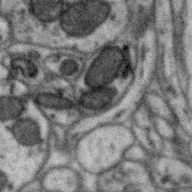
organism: Zebra finch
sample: Brain